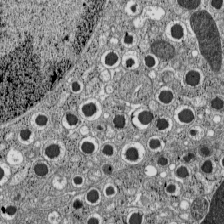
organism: C57BL Mouse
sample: Pancreatic islet